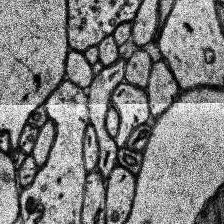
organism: Human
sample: Temporal Lobe